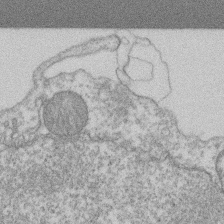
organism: Mouse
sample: T cell stromal cell synapse